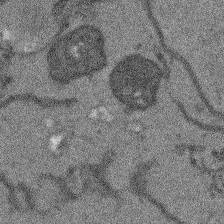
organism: Arabidopsis thaliana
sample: Root tip